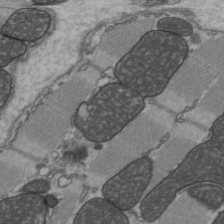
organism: C57BL Mouse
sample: Heart